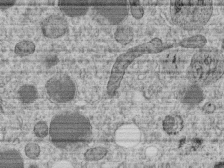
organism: C. elegans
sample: C. elegans embryo early stage